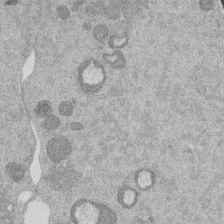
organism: Mouse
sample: Dividing mouse embryo 1 cell stage